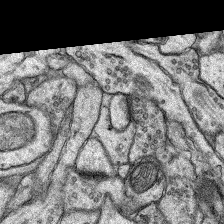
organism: Rat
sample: Hippocampus